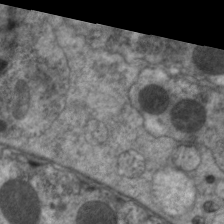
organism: C. elegans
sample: Pharynx